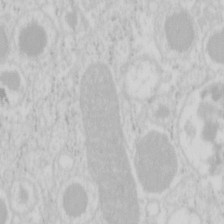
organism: Mouse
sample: Pancreas